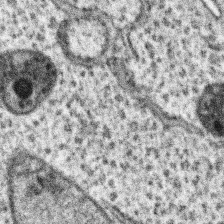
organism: Human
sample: HeLa cells